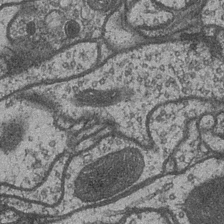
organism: Drosophila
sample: Optic medulla